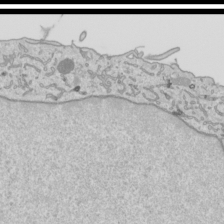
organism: Human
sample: Mitochondria in HCT116 cells